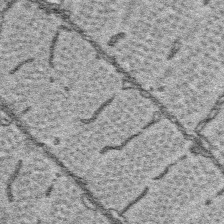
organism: Platynereis dumerilii